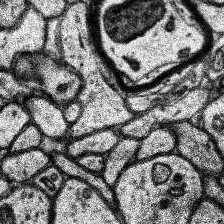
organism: Human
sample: Temporal Lobe